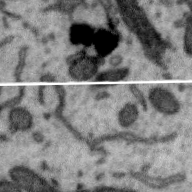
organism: Zebra finch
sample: Brain